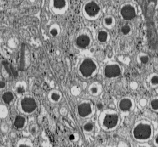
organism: C57BL Mouse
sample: Pancreatic islet